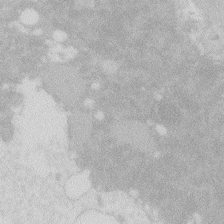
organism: Zebrafish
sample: Macrophage